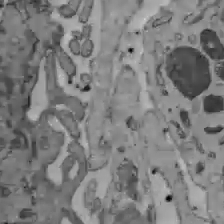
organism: C57BL Mouse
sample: Liver